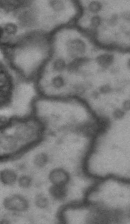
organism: Drosophila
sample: Brain